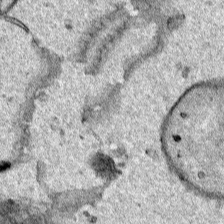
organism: Human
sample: Mitochondria in HCT116 cells